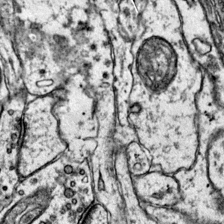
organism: Mouse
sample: Primary visual cortex